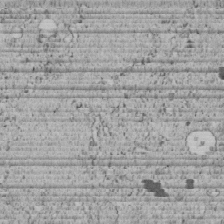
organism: C. elegans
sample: C. elegans embryo early stage